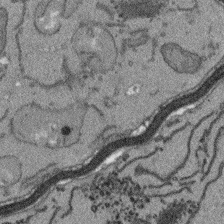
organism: Arabidopsis thaliana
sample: Root tip